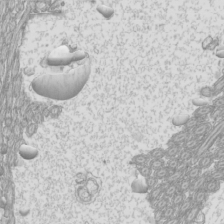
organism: Mouse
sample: Cilia; mouse epididymis